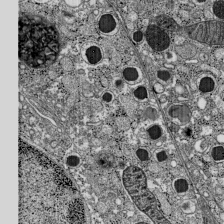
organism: C57BL Mouse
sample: Pancreatic islet